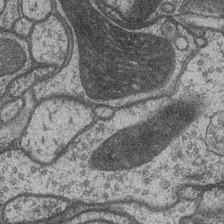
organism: Drosophila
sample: Optic medulla